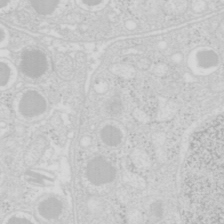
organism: Mouse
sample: Pancreas